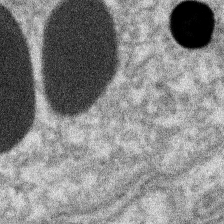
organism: Xenopus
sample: Cilia; centrioles in frog embryo cells